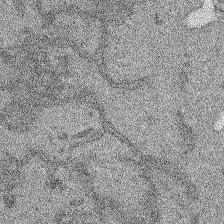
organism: Human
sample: HeLa cells